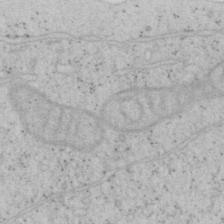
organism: Human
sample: HeLa cells